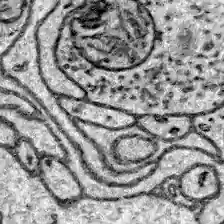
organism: Zebrafish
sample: Brain